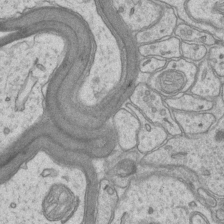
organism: Mouse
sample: CA1 Hippocampus